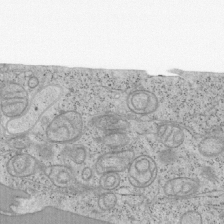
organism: Human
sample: HeLa cells